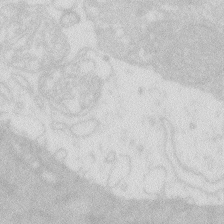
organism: Zebrafish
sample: Macrophage